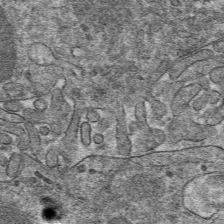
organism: Mouse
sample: Mouse hepatocytes